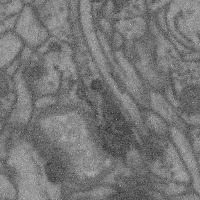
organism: Mouse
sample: Cerebral cortex